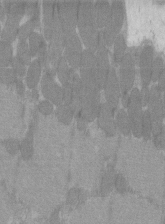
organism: C57BL Mouse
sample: Tibialis anterior muscle cell